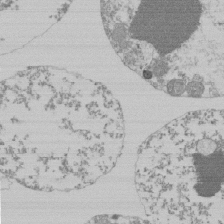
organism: Mouse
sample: Activated Pmel transgenic CD8+ T Cells